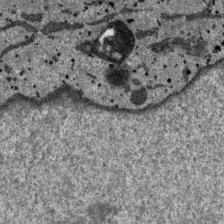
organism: Human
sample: Lung epithelial cells, uninfected (mock) control